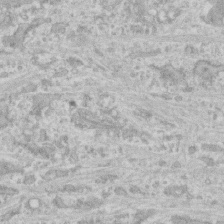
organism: Human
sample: CRL-1474